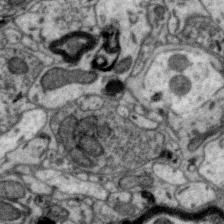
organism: Zebra finch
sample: Brain